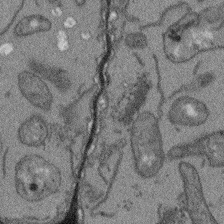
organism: Arabidopsis thaliana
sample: Root tip